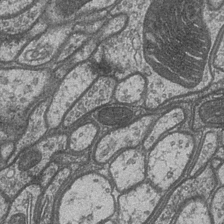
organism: Drosophila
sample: Optic medulla